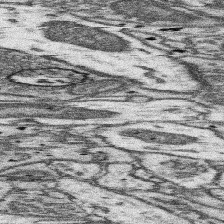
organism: Mouse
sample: Somatosensory cortex neuropil